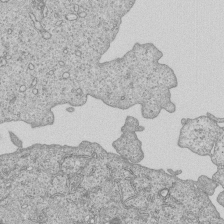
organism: Human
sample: MDA-MB-231 cells